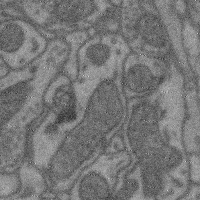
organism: Mouse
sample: Cerebral cortex